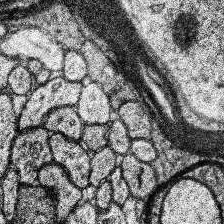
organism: Human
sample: Temporal Lobe